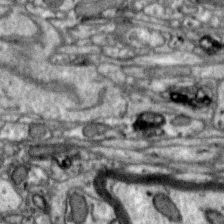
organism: Zebra finch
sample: Brain